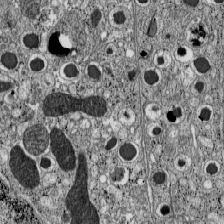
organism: C57BL Mouse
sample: Pancreatic islet